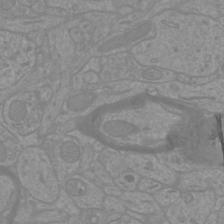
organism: Mouse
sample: Cortical neurons